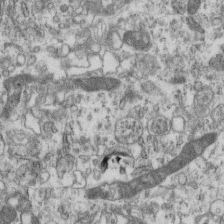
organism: Mouse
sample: Centriole in ependymal cells